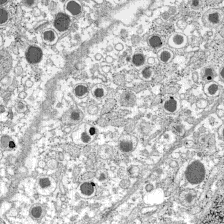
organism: C57BL Mouse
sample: Pancreatic islet